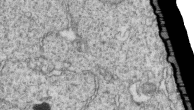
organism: Human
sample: HeLa cell HIV synapse